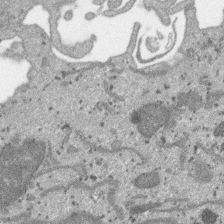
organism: Human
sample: Lung epithelial cells infected with SARS-CoV-2